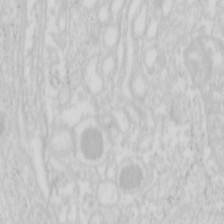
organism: Mouse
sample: Pancreas